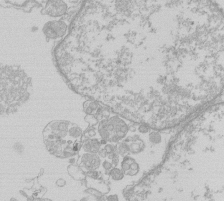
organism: Human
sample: Macrophage cells